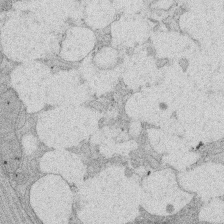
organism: Rat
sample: Salivary granule